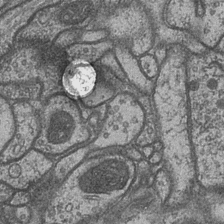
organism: Drosophila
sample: Optic medulla